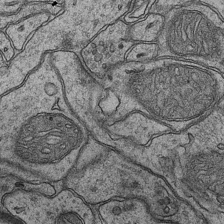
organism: Mouse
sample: CA1 Hippocampus